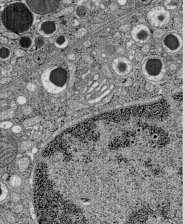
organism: C57BL Mouse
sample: Pancreatic islet